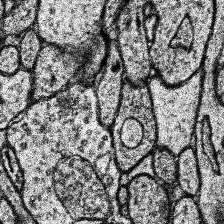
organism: Human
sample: Temporal Lobe